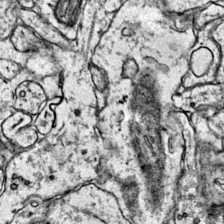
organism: Mouse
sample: Primary visual cortex